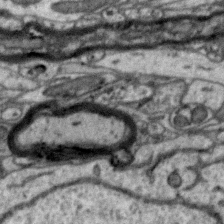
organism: Zebra finch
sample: Brain